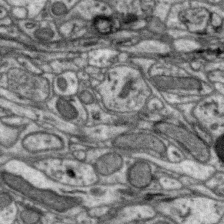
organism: Zebra finch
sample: Brain